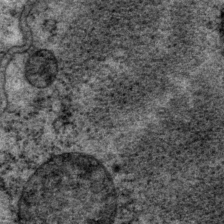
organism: P. pacificus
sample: Pharynx